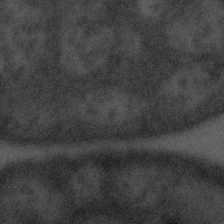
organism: Tuwongella immobilis